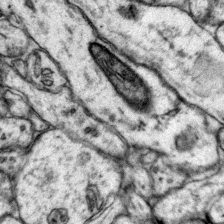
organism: Mouse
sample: Primary visual cortex